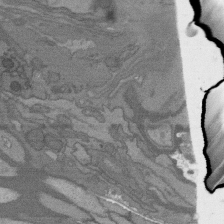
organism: C. elegans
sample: AFD neurons C. elegans